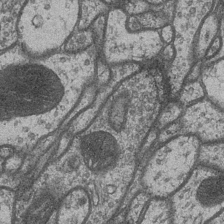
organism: Drosophila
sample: Optic medulla